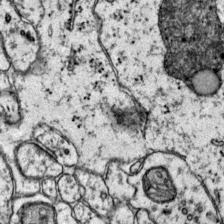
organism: Mouse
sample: Primary visual cortex